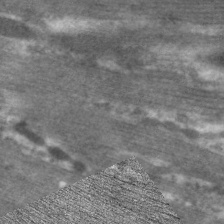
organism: C. elegans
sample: Pharynx